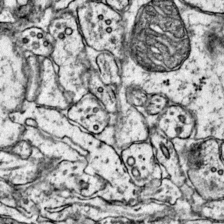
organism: Mouse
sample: Primary visual cortex